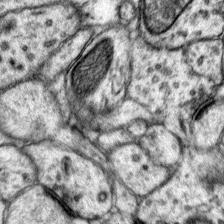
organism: Mouse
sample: Primary visual cortex